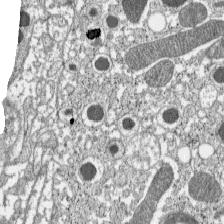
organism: C57BL Mouse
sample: Pancreatic islet